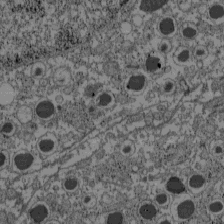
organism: C57BL Mouse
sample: Pancreatic islet